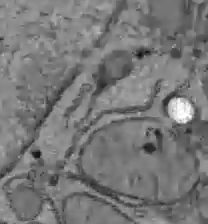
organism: C57BL Mouse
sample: Liver